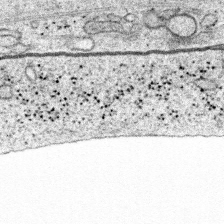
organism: Human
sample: HeLa cells